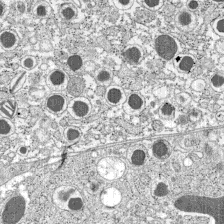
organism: C57BL Mouse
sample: Pancreatic islet